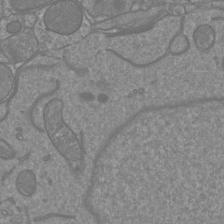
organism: Mouse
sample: Cortical neurons